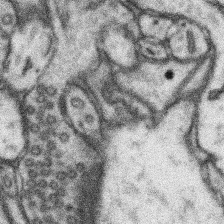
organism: Mouse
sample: Somatosensory cortex neuropil